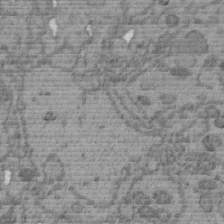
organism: C. elegans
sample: C. elegans embryo early stage